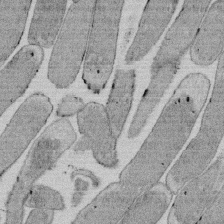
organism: E. coli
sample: Bacterial nucleoid